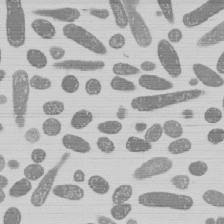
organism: E. coli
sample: Bacterial nucleoid